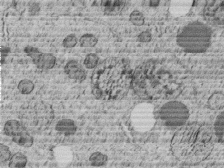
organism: C. elegans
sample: C. elegans embryo early stage